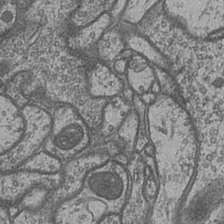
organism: Drosophila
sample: Optic medulla